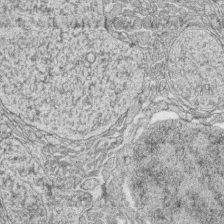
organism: Zebrafish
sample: synaptic ribbons in rod cells and cone cells